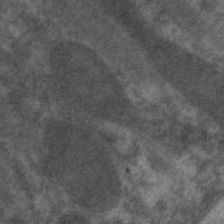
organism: C. elegans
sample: Pharynx